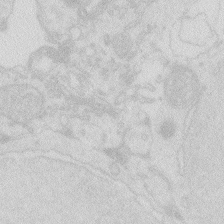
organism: Zebrafish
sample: Macrophage